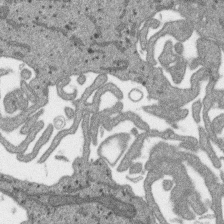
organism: Human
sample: Lung epithelial cells infected with SARS-CoV-2